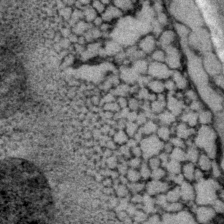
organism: P. pacificus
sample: Pharynx